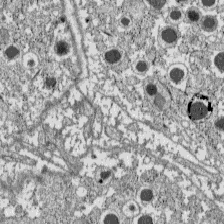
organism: C57BL Mouse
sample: Pancreatic islet